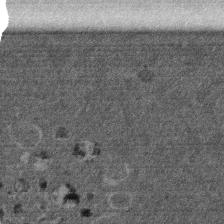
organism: Mouse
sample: Dividing mouse embryo 1 cell stage